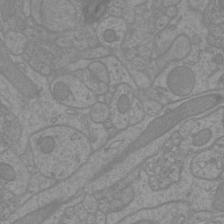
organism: Mouse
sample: Cortical neurons